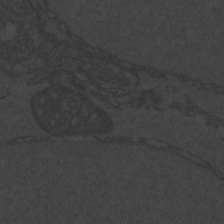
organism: Zebrafish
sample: Macrophage infected with Toxoplasma gondii